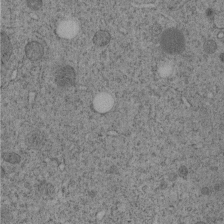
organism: C. elegans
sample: C. elegans embryo early stage